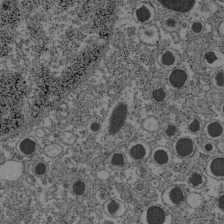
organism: C57BL Mouse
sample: Pancreatic islet